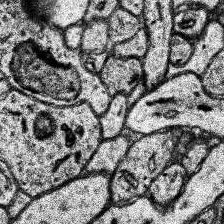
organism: Human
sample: Temporal Lobe